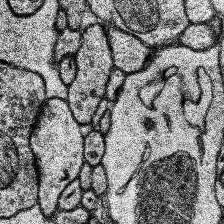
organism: Human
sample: Temporal Lobe